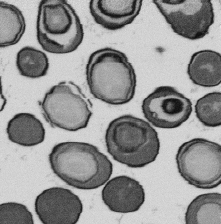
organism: B. subtilis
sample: Bacterial spore